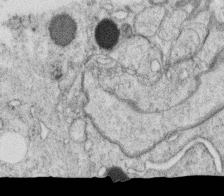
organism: C. elegans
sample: C. elegans oocyte; sperm cells